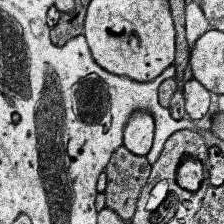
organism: Human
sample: Temporal Lobe